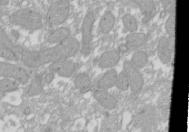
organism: Xenopus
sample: Cilia; centrioles in frog embryo cells